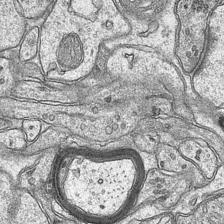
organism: Mouse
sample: CA1 Hippocampus